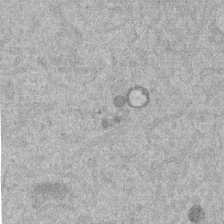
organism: Mouse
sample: Dividing mouse embryo 1 cell stage